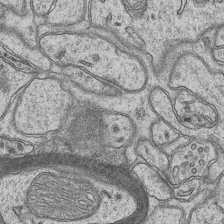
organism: Mouse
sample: CA1 Hippocampus